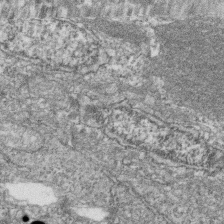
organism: Zebrafish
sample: Cilia; retinal pigment epithelium